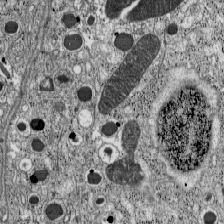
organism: C57BL Mouse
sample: Pancreatic islet